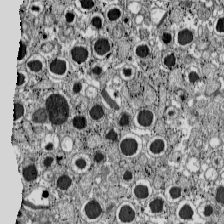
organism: C57BL Mouse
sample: Pancreatic islet